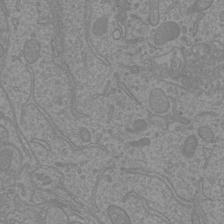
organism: Mouse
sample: Cortical neurons